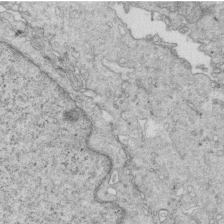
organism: Mouse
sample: Multiciliated cells